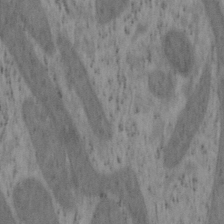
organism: Mouse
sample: OT-I killer T cells with ID8 ovarian cancer cells